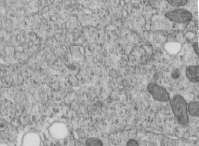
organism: C. elegans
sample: C. elegans embryo early stage